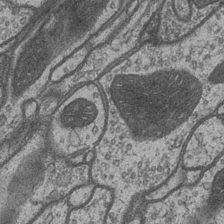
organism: Drosophila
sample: Optic medulla